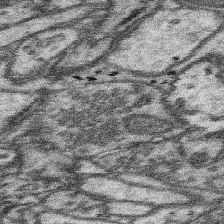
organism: Mouse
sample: Somatosensory cortex neuropil